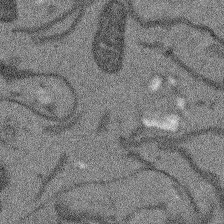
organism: Arabidopsis thaliana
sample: Root tip